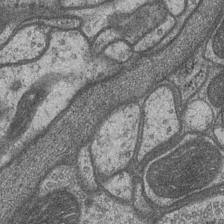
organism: Drosophila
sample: Optic medulla